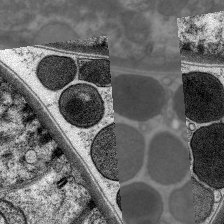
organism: C. elegans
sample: Pharynx